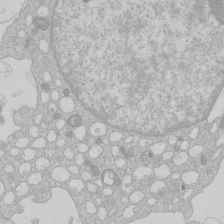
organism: Human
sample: Macrophage cells